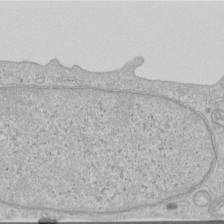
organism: Human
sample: Centriole in RPE cells